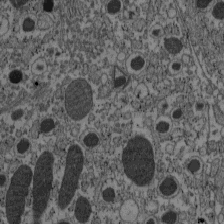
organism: C57BL Mouse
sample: Pancreatic islet